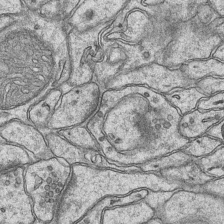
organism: Mouse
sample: CA1 Hippocampus